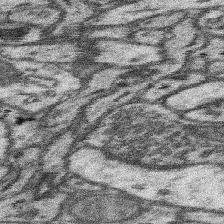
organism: Mouse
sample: Somatosensory cortex neuropil